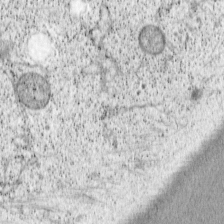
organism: African green monkey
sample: COS-7 cells